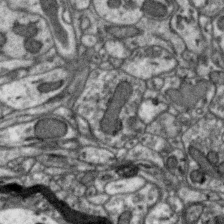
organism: Zebra finch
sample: Brain